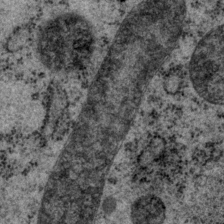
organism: P. pacificus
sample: Pharynx